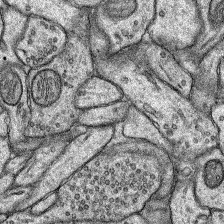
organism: Rat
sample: Hippocampus